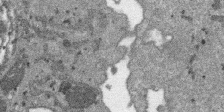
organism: Human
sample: Lung epithelial cells infected with SARS-CoV-2